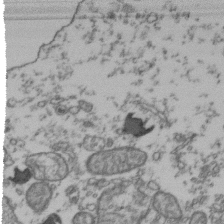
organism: Human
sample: Activated Jurkat CD4+ T cells